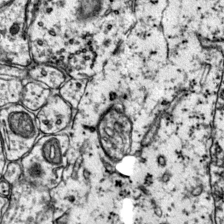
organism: Mouse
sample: Primary visual cortex